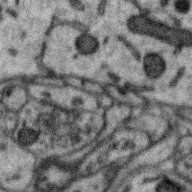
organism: Zebra finch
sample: Brain